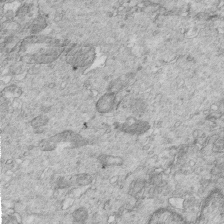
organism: Mouse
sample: Multiciliated cells